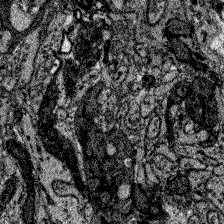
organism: Zebrafish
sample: Larval olfactory bulb